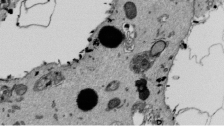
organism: Mouse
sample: ED-1 cell nuclei; centrioles